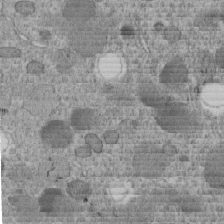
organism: C. elegans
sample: C. elegans embryo early stage